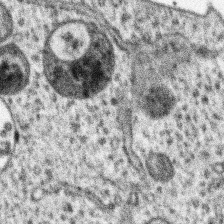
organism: Human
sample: HeLa cells